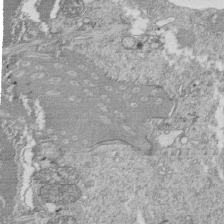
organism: Tetrahymena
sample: Cilia in tetrahymena